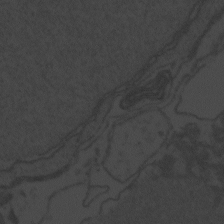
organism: Zebrafish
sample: Macrophage infected with Toxoplasma gondii